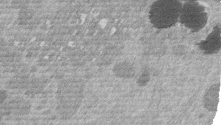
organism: Mouse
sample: Dividing mouse embryo 1 cell stage